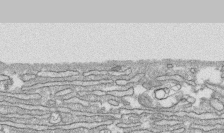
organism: Human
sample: CRL-1474